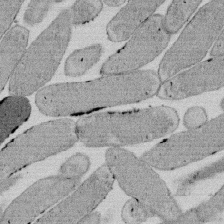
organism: E. coli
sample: Bacterial nucleoid